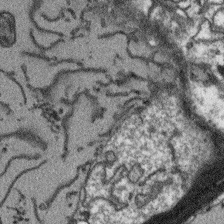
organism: Arabidopsis thaliana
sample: Root tip